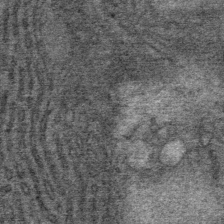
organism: Mouse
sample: Mouse Salivary gland